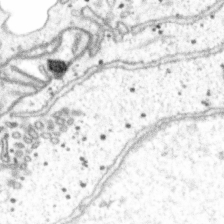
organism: Human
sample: HeLa cells